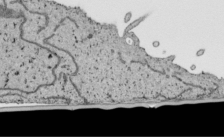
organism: Human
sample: Mitochondria in HCT116 cells